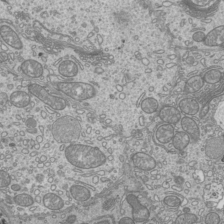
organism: Mouse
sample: Cilia; mouse epididymis